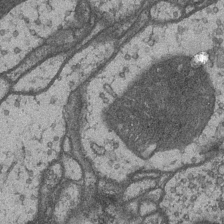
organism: Drosophila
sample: Optic medulla